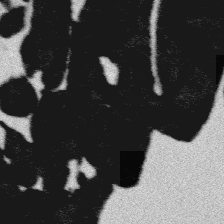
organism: Platynereis dumerilii